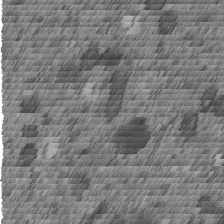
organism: C. elegans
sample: C. elegans embryo early stage